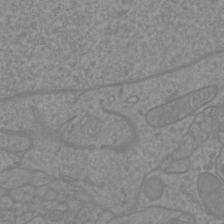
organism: Mouse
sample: Cortical neurons